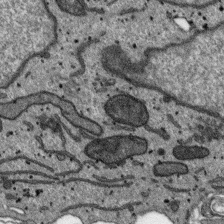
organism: Human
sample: Lung epithelial cells, uninfected (mock) control